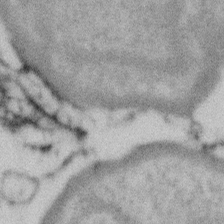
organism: Gemmata obscuriglobus